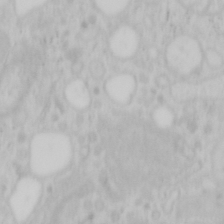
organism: Mouse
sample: OT-I killer T cells with ID8 ovarian cancer cells